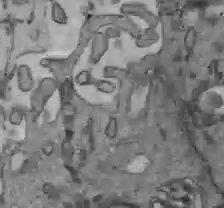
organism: C57BL Mouse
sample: Liver